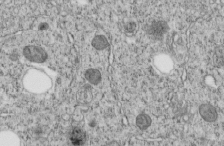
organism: C. elegans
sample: C. elegans embryo early stage